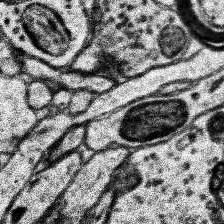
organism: Human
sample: Temporal Lobe